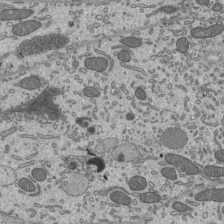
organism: Mouse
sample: Mouse epididymis efferent ductule cilia